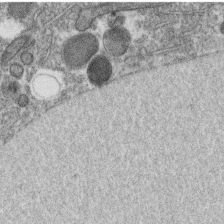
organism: C. elegans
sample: C. elegans oocyte; sperm cells